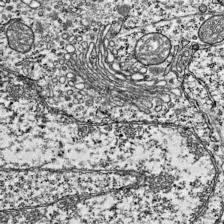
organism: Mouse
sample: Visual Cortex